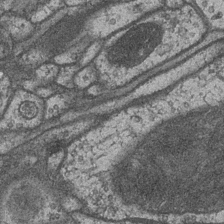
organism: Drosophila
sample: Optic medulla